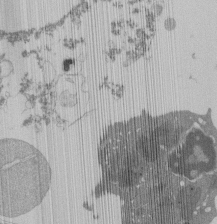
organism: Mouse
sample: Activated Pmel transgenic CD8+ T Cells